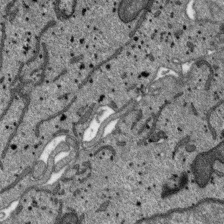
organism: Human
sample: Lung epithelial cells, uninfected (mock) control